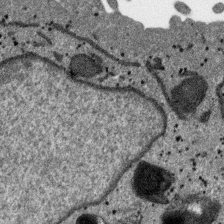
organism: Human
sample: Lung epithelial cells, uninfected (mock) control